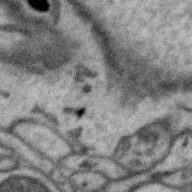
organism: Zebra finch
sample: Brain